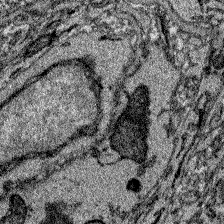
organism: Zebrafish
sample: Larval olfactory bulb